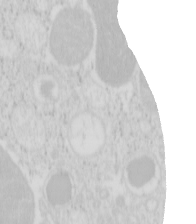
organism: Mouse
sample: Pancreas